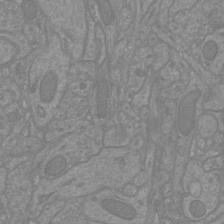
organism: Mouse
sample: Cortical neurons